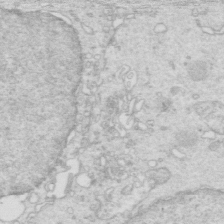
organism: Mouse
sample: Multiciliated cells